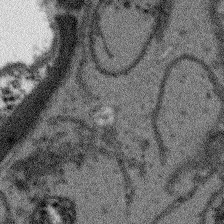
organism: Arabidopsis thaliana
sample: Root tip